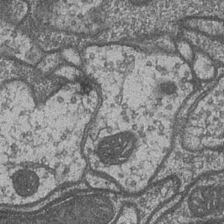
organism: Drosophila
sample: Optic medulla